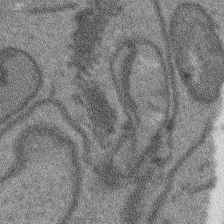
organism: Arabidopsis thaliana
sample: Root tip